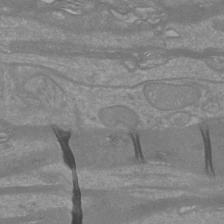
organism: Mouse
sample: Cortical neurons